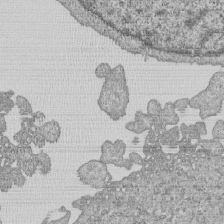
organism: Human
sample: MDA-MB-231 cells